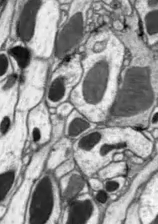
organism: Drosophila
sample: Optic lobe